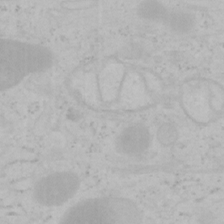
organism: Human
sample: HeLa cells